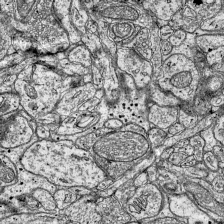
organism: Mouse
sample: Visual Cortex